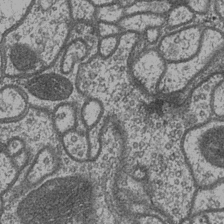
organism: Drosophila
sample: Optic medulla